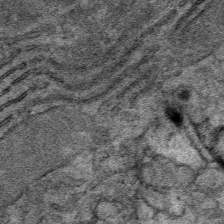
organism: Mouse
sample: Mouse Salivary gland